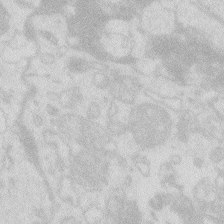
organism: Zebrafish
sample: Macrophage